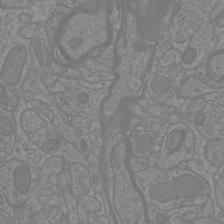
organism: Mouse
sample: Cortical neurons